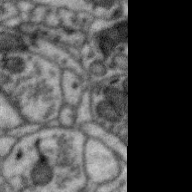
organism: Zebra finch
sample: Brain